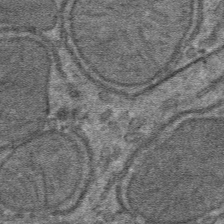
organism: Mouse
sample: Mouse hepatocytes